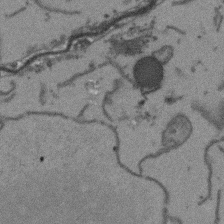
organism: Arabidopsis thaliana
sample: Root tip